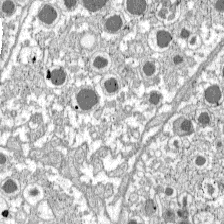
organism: C57BL Mouse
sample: Pancreatic islet